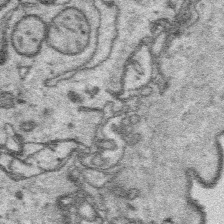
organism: Platynereis dumerilii